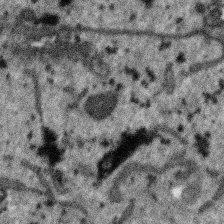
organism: Human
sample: Lung epithelial cells infected with SARS-CoV-2